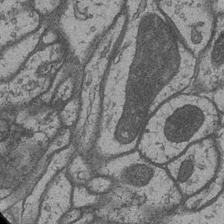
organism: Drosophila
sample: Optic medulla